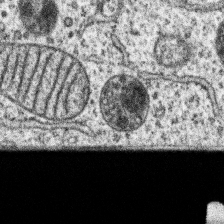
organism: Human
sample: HeLa cells